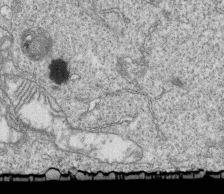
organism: Human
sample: HeLa cell HIV synapse